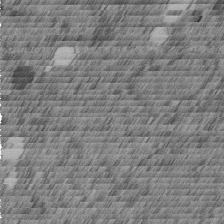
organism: C. elegans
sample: C. elegans embryo early stage